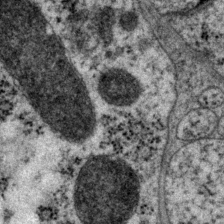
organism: P. pacificus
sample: Pharynx